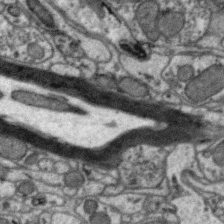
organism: Zebra finch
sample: Brain